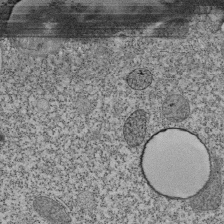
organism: Tetrahymena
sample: Cilia in tetrahymena